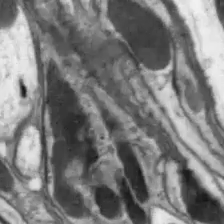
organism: Drosophila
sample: Optic lobe